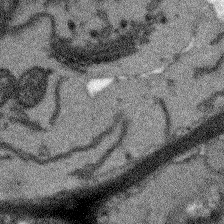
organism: Arabidopsis thaliana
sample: Root tip